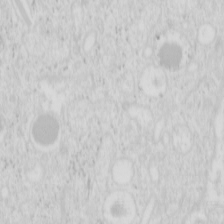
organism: Mouse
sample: Pancreas